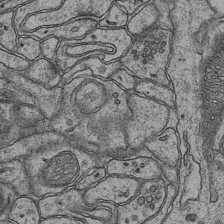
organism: Mouse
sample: CA1 Hippocampus